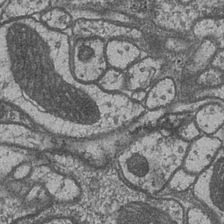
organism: Drosophila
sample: Optic medulla